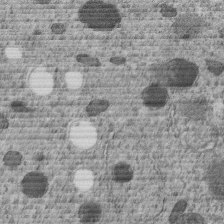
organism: C. elegans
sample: C. elegans embryo early stage